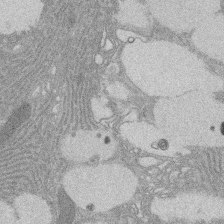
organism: Rat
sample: Salivary granule